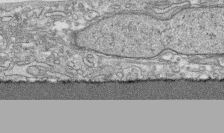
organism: Human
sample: CRL-1474